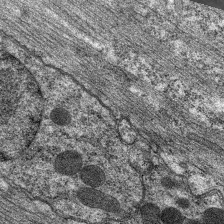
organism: C. elegans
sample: Pharynx